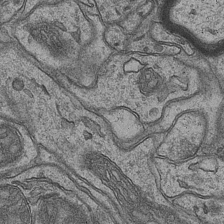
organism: Mouse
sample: CA1 Hippocampus